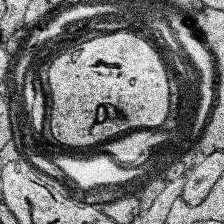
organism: Human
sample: Temporal Lobe